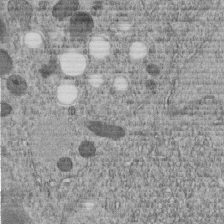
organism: C. elegans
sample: C. elegans embryo early stage